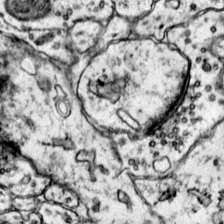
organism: Mouse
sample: Primary visual cortex